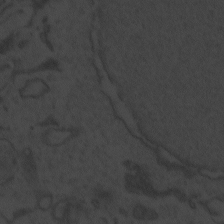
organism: Zebrafish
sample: Macrophage infected with Toxoplasma gondii